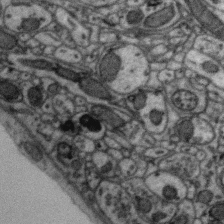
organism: Zebra finch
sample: Brain